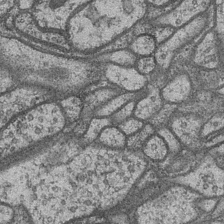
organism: Drosophila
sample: Optic medulla